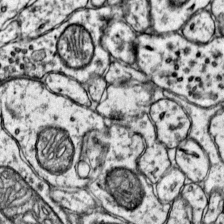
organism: Mouse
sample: Primary visual cortex